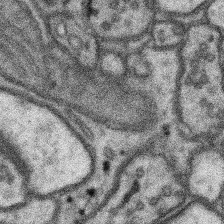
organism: Mouse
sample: Somatosensory cortex neuropil